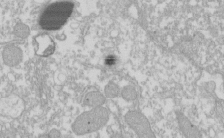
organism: Xenopus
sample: Cilia; centrioles in frog embryo cells